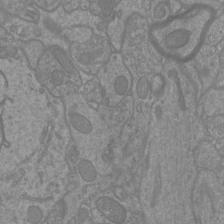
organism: Mouse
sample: Cortical neurons